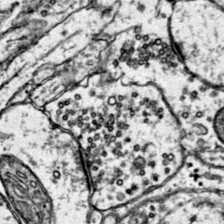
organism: Mouse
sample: Primary visual cortex